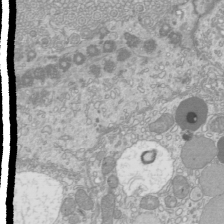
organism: Mouse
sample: Cilia; mouse epididymis